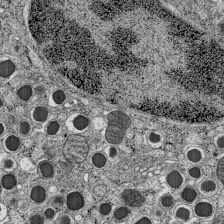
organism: C57BL Mouse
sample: Pancreatic islet